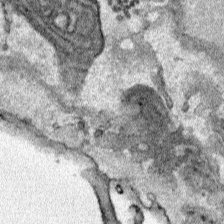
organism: Human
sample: Mitochondria in HCT116 cells